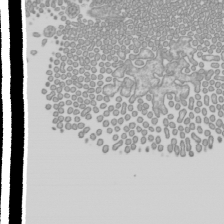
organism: Mouse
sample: Cilia; mouse epididymis